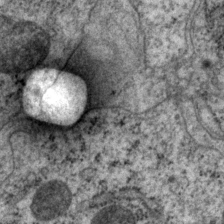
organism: P. pacificus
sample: Pharynx